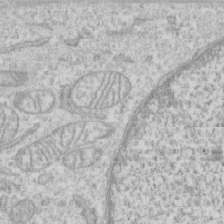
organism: Human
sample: CRL-1474